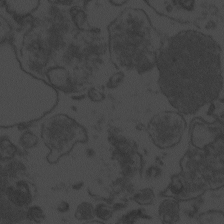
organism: Zebrafish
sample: Macrophage infected with Toxoplasma gondii